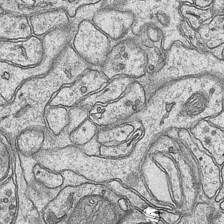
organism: Mouse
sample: CA1 Hippocampus